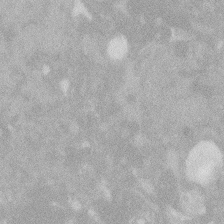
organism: Zebrafish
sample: Macrophage